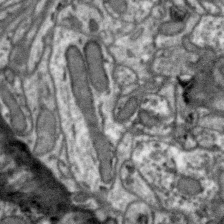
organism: Zebra finch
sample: Brain